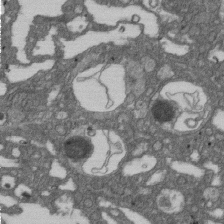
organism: Drosophila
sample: Nephrocyte